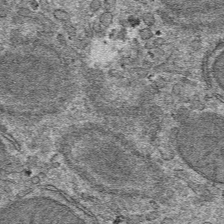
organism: Mouse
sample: Mouse hepatocytes